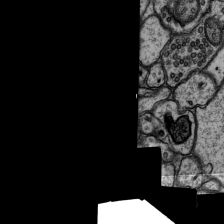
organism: Rat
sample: Hippocampus